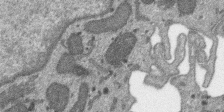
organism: Human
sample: Lung epithelial cells infected with SARS-CoV-2